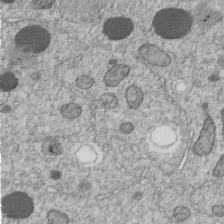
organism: C. elegans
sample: C. elegans embryo early stage